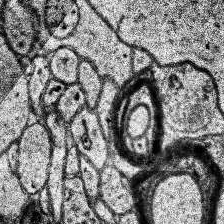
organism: Human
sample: Temporal Lobe